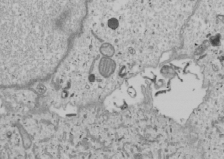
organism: Human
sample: Mitochondria in U2OS cells